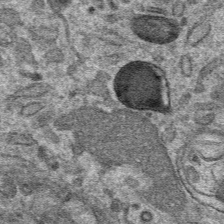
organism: Mouse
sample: Mouse hepatocytes